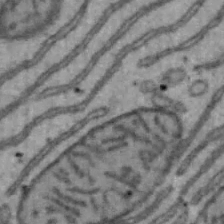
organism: Mouse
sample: Liver